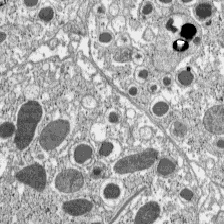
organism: C57BL Mouse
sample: Pancreatic islet